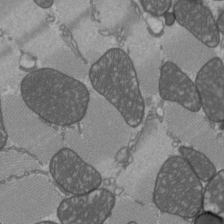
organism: C57BL Mouse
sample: Heart